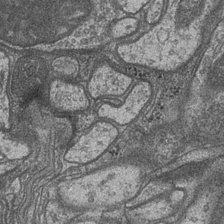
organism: Drosophila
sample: Optic medulla